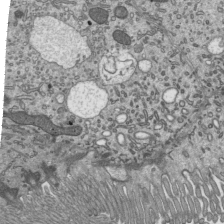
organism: Mouse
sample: Mouse epididymis efferent ductule cilia